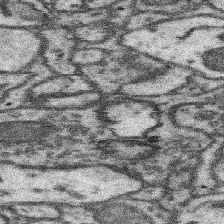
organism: Mouse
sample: Somatosensory cortex neuropil